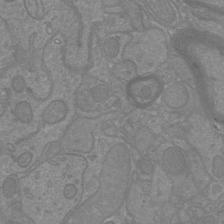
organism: Mouse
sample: Cortical neurons